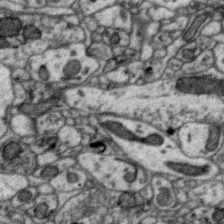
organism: Zebra finch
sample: Brain